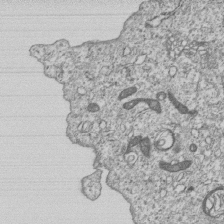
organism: Human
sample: MDA-MB-231 cells